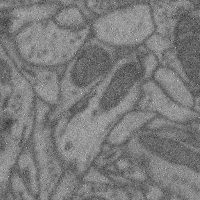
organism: Mouse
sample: Cerebral cortex